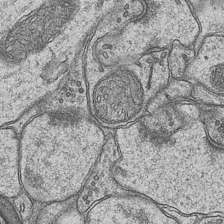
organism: Mouse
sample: CA1 Hippocampus